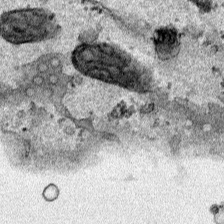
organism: Human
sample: Mitochondria in HCT116 cells